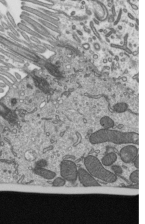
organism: Mouse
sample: Mouse epididymis efferent ductule cilia